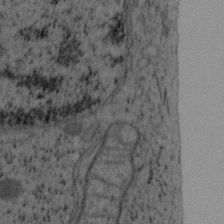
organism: Human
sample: HeLa cells